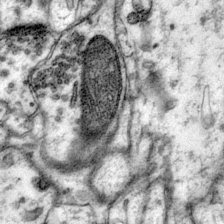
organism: Mouse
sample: Primary visual cortex